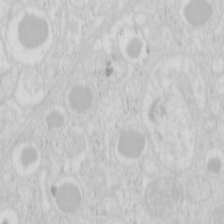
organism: Mouse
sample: Pancreas